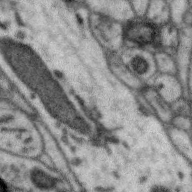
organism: Zebra finch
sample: Brain